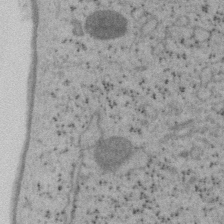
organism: Human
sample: HeLa cells